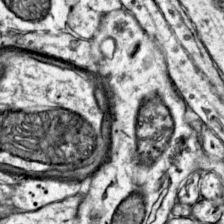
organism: Mouse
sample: Primary visual cortex